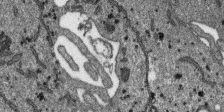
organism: Human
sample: Lung epithelial cells infected with SARS-CoV-2